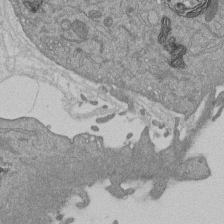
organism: Mouse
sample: ED-1 cell nuclei; centrioles